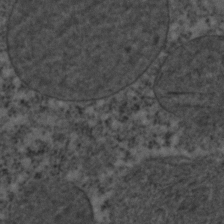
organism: C. elegans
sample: C. elegans embryo